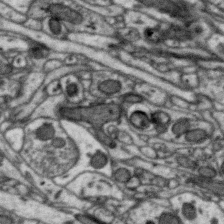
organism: Zebra finch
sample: Brain